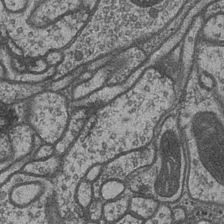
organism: Drosophila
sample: Optic medulla